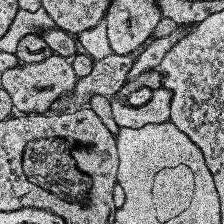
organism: Human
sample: Temporal Lobe